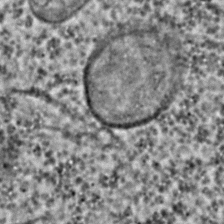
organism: C. elegans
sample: C. elegans embryo